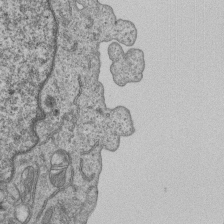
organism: Human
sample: MDA-MB-231 cells